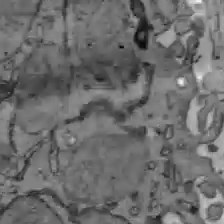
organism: C57BL Mouse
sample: Liver